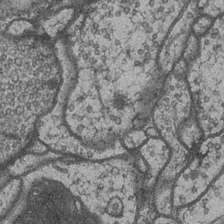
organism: Drosophila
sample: Optic medulla